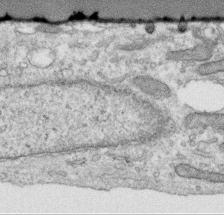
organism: Human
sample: Centriole in RPE cells